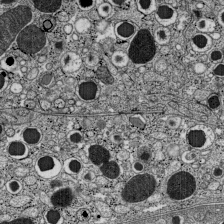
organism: C57BL Mouse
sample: Pancreatic islet